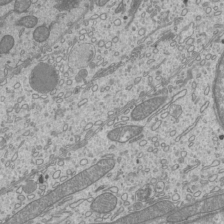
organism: Mouse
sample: Cilia; mouse epididymis